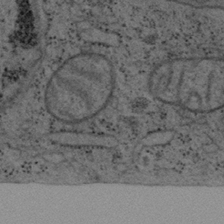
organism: Human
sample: HeLa cells